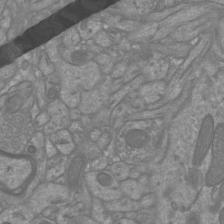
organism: Mouse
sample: Cortical neurons